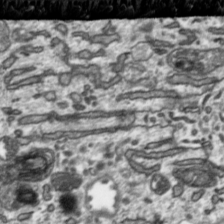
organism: Toxoplasma gondii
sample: Parasites in a vacuole inside a host cell